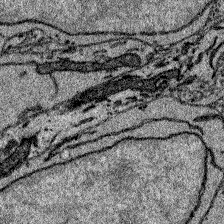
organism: Zebrafish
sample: Larval olfactory bulb